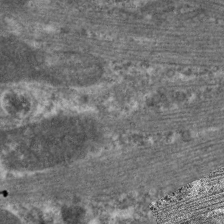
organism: C. elegans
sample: Pharynx